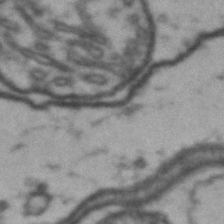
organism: Drosophila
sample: Brain